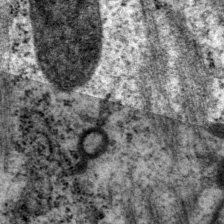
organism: P. pacificus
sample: Pharynx